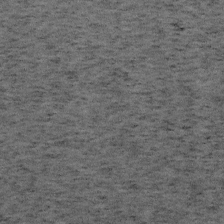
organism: Mouse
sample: OT-I killer T cells with ID8 ovarian cancer cells